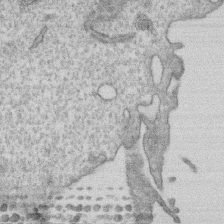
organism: Human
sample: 1205lu cells